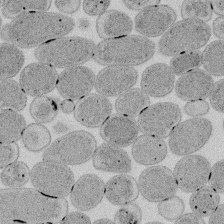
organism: E. coli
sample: Bacterial nucleoid